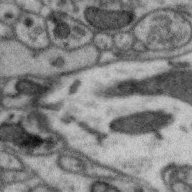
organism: Zebra finch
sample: Brain